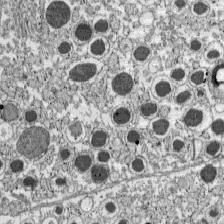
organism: C57BL Mouse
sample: Pancreatic islet